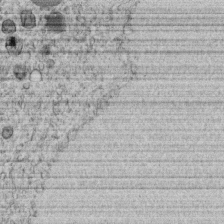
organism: C. elegans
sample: C. elegans embryo early stage